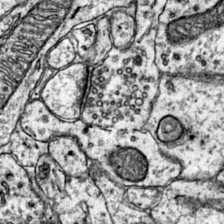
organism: Mouse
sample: Primary visual cortex